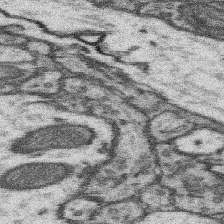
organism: Mouse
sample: Somatosensory cortex neuropil